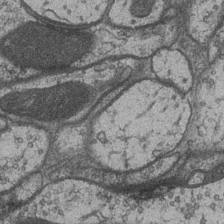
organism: Drosophila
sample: Optic medulla